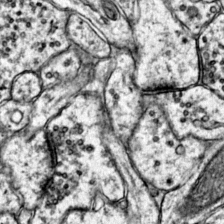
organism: Mouse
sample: Primary visual cortex